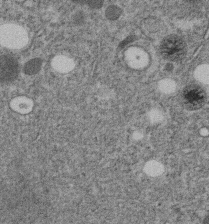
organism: C. elegans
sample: C. elegans embryo early stage